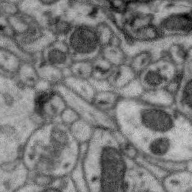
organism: Zebra finch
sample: Brain